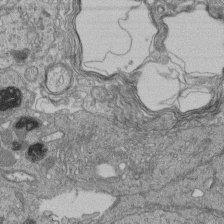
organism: Human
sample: Retinal organoid Rod and Cone cells